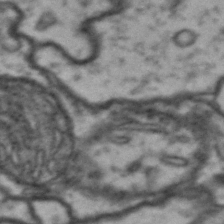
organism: Drosophila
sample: Brain